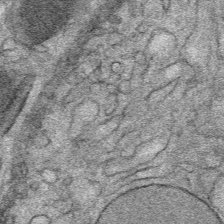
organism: Mouse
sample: Mouse Salivary gland